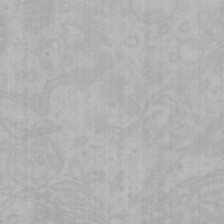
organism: Mouse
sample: Choroid plexus